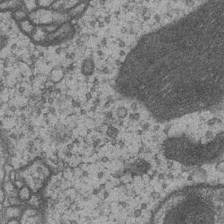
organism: Drosophila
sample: Optic medulla